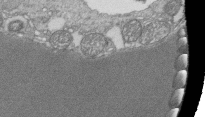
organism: Tetrahymena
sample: Cilia in tetrahymena